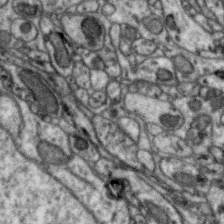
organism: Zebra finch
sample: Brain